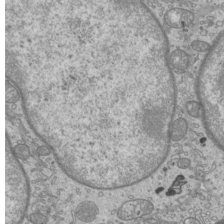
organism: Mouse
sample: Cilia; mouse epididymis